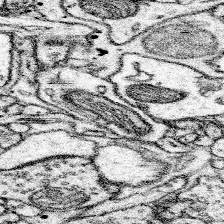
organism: Mouse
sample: Somatosensory cortex neuropil